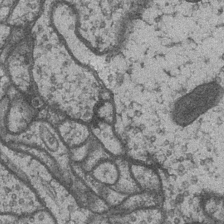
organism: Drosophila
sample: Optic medulla